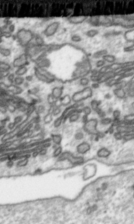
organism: Toxoplasma gondii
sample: Parasites in a vacuole inside a host cell